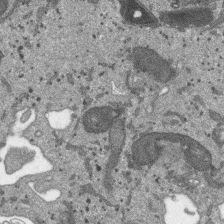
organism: Human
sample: Lung epithelial cells infected with SARS-CoV-2